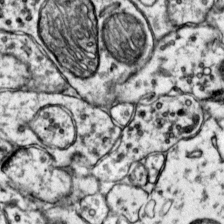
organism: Mouse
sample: Primary visual cortex